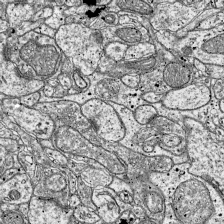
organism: Mouse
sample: Visual Cortex